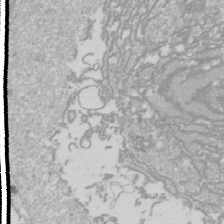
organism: Drosophila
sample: Cell division; meiosis; drosophila spermatocytes